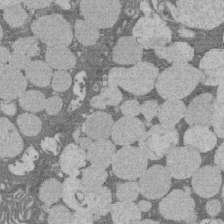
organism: Rat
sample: Salivary granule